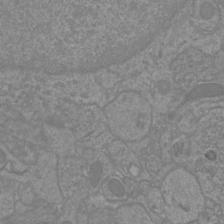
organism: Mouse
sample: Cortical neurons